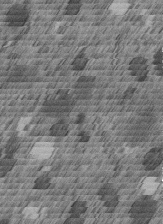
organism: C. elegans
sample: C. elegans embryo early stage